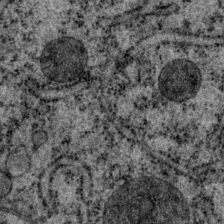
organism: P. pacificus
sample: Pharynx